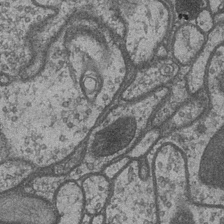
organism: Drosophila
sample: Optic medulla